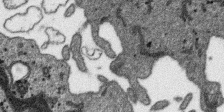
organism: Human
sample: Lung epithelial cells infected with SARS-CoV-2